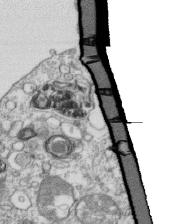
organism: Mouse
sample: Activated OT-1 CD8+ T cells